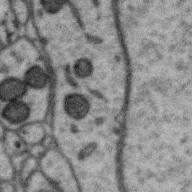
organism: Zebra finch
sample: Brain